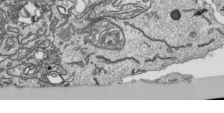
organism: Human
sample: Mitochondria in HCT116 cells